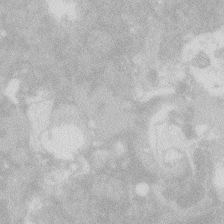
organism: Zebrafish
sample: Macrophage